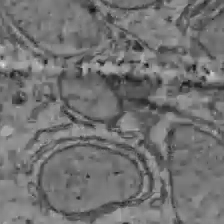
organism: C57BL Mouse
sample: Liver